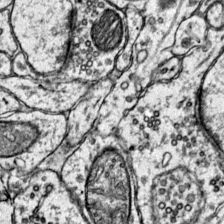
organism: Mouse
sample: Primary visual cortex